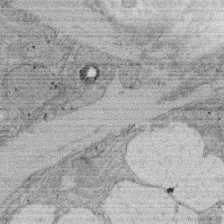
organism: Rat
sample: Salivary granule